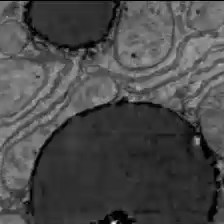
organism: C57BL Mouse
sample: Liver